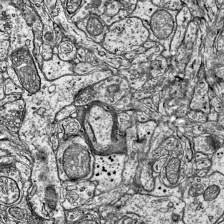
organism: Mouse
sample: Visual Cortex